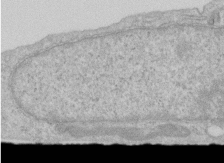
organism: Human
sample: Centriole in RPE cells